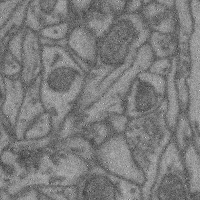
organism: Mouse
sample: Cerebral cortex